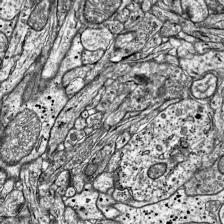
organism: Mouse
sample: Visual Cortex